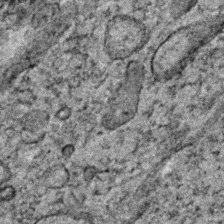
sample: Trachea